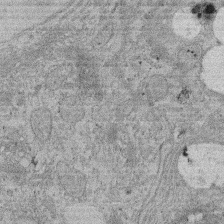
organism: Rat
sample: Salivary granule